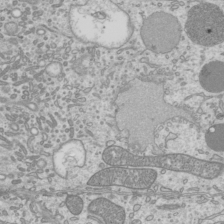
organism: Mouse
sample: Cilia; mouse epididymis